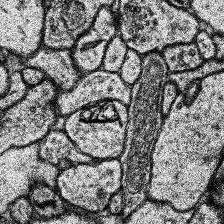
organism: Human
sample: Temporal Lobe